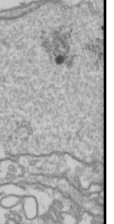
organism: Drosophila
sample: Cell division; meiosis; drosophila spermatocytes